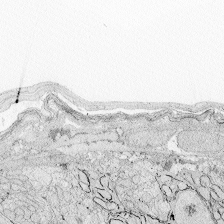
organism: Zebrafish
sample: Whole-Brain